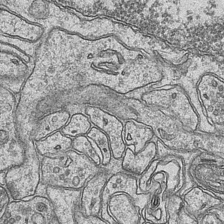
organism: Mouse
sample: CA1 Hippocampus